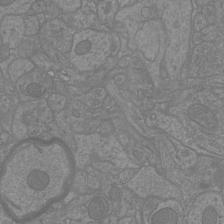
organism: Mouse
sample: Cortical neurons